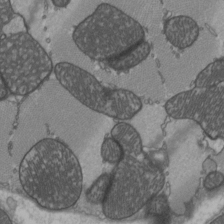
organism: C57BL Mouse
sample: Heart